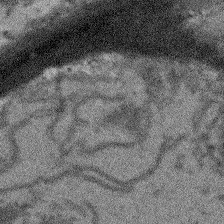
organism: Arabidopsis thaliana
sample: Root tip